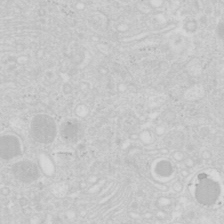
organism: Mouse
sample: Pancreas